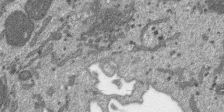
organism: Human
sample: Lung epithelial cells infected with SARS-CoV-2